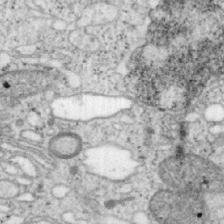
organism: Mouse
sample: OT-I killer T cells with ID8 ovarian cancer cells